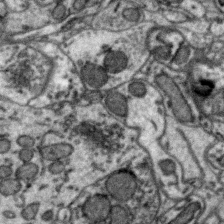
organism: Zebra finch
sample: Brain